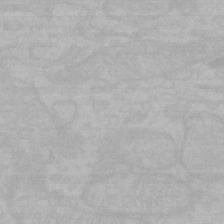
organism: Mouse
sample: Choroid plexus